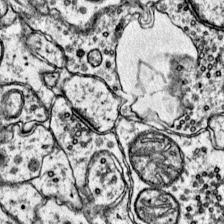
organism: Mouse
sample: Primary visual cortex